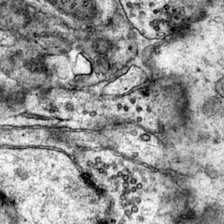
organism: Mouse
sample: Primary visual cortex